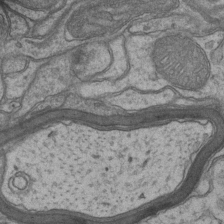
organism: Mouse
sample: CA1 Hippocampus